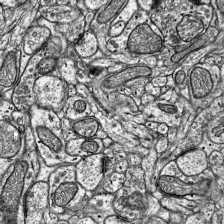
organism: Mouse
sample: Visual Cortex